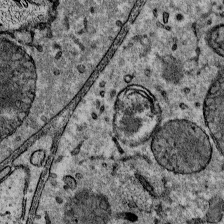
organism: Mouse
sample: Mouse Salivary gland